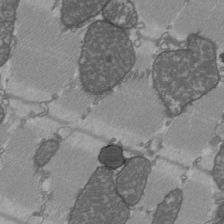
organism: C57BL Mouse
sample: Heart